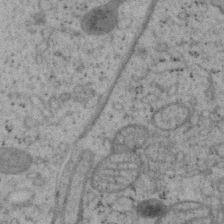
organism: Human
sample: HeLa cells